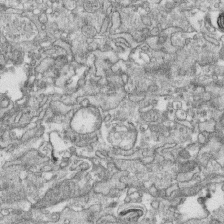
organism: Human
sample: CRL-1474